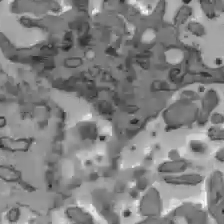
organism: C57BL Mouse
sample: Liver